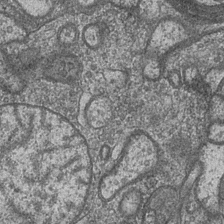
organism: Drosophila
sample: Optic medulla